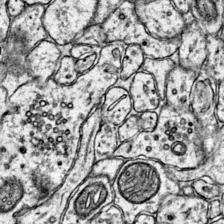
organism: Mouse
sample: Primary visual cortex